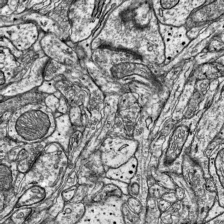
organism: Mouse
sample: Visual Cortex